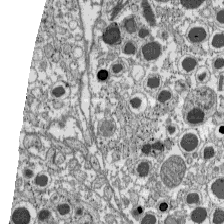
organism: C57BL Mouse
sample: Pancreatic islet